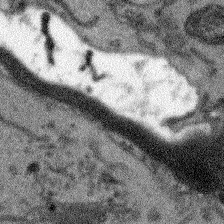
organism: Arabidopsis thaliana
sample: Root tip